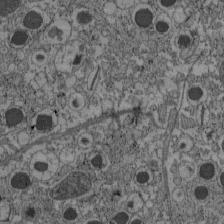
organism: C57BL Mouse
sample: Pancreatic islet